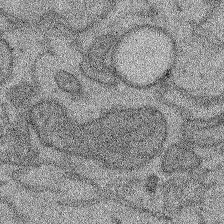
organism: Human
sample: HeLa cells